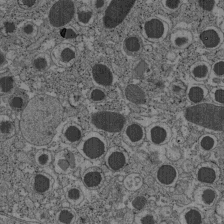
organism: C57BL Mouse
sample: Pancreatic islet